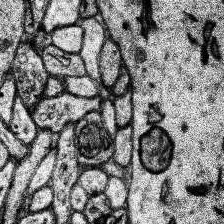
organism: Human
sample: Temporal Lobe